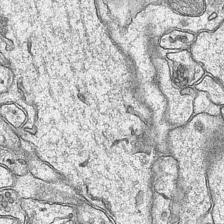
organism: Mouse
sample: CA1 Hippocampus